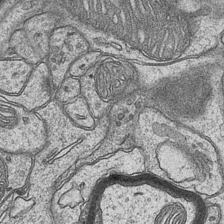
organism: Mouse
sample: CA1 Hippocampus